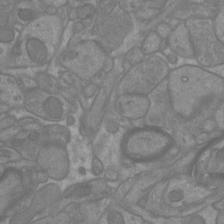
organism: Mouse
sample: Cortical neurons